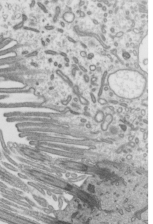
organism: Mouse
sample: Mouse epididymis efferent ductule cilia